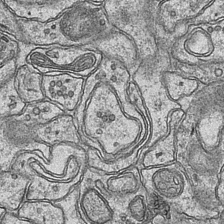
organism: Mouse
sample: CA1 Hippocampus